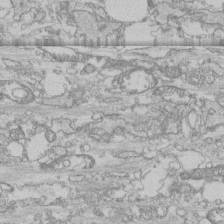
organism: Human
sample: CRL-1474